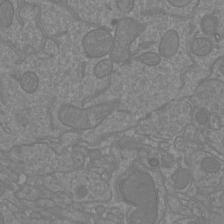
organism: Mouse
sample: Cortical neurons